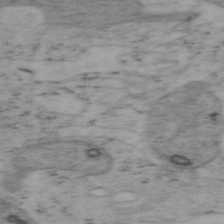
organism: Mouse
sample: OT-I killer T cells with ID8 ovarian cancer cells